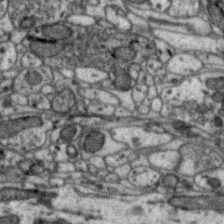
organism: Zebra finch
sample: Brain